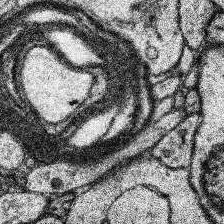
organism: Human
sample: Temporal Lobe